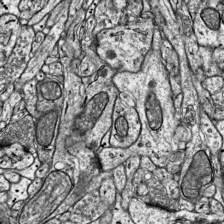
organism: Mouse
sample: Visual Cortex